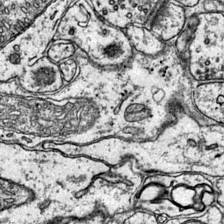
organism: Mouse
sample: Primary visual cortex